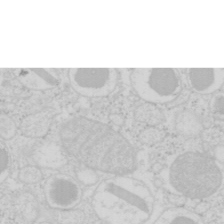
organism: Mouse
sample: Pancreas